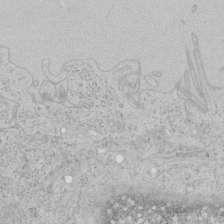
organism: Human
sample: Mitochondria in HCT116 cells